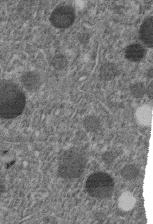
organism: C. elegans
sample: C. elegans embryo early stage